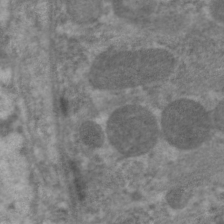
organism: C. elegans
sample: Pharynx